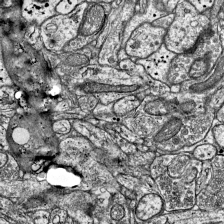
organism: Mouse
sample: Visual Cortex